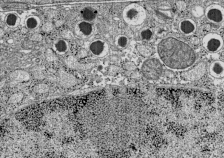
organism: C57BL Mouse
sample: Pancreatic islet